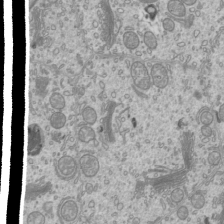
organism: Mouse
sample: Cilia; mouse epididymis